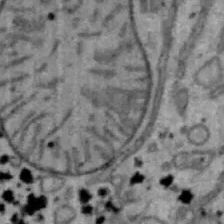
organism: Mouse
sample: Liver